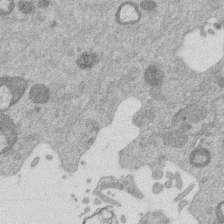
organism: Mouse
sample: Dividing mouse embryo 1 cell stage